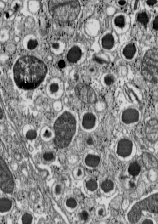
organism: C57BL Mouse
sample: Pancreatic islet